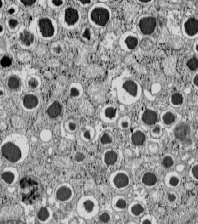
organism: C57BL Mouse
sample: Pancreatic islet